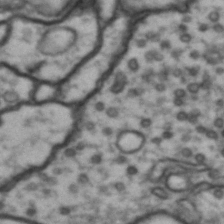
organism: Drosophila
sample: Brain